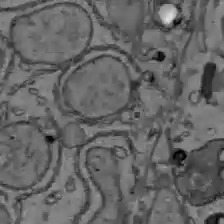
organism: C57BL Mouse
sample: Liver